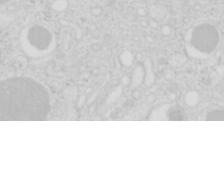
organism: Mouse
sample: Pancreas